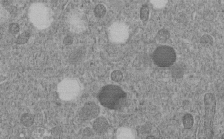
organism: C. elegans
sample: C. elegans embryo early stage